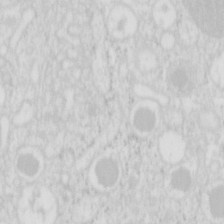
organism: Mouse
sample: Pancreas